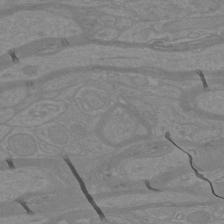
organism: Mouse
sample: Cortical neurons